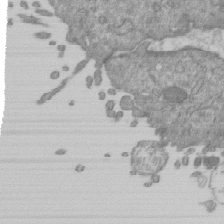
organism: Mouse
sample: ED-1 cell nuclei; centrioles